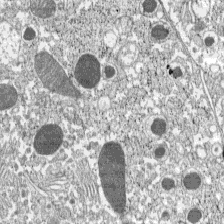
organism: C57BL Mouse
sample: Pancreatic islet